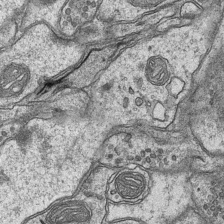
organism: Mouse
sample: CA1 Hippocampus